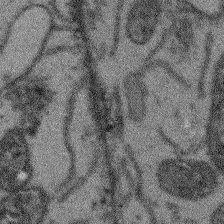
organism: Arabidopsis thaliana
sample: Root tip